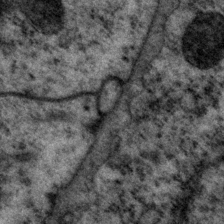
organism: P. pacificus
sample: Pharynx